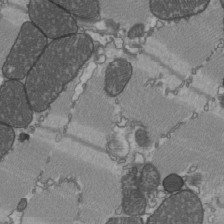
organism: C57BL Mouse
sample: Heart